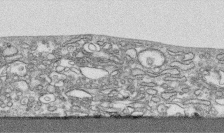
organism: Human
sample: CRL-1474